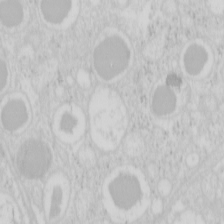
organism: Mouse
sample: Pancreas